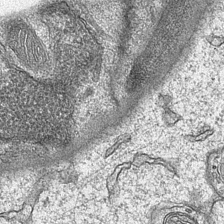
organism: Mouse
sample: CA1 Hippocampus